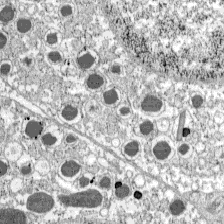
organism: C57BL Mouse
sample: Pancreatic islet